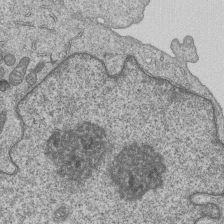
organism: Human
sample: MDA-MB-231 cells